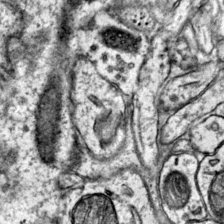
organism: Mouse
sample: Primary visual cortex